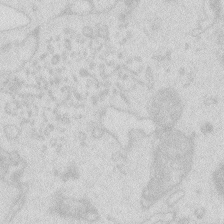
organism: Zebrafish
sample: Macrophage